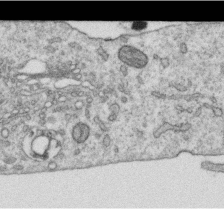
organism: Human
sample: Centriole in RPE cells